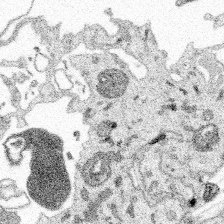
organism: Spongilla lacustris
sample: Multiple